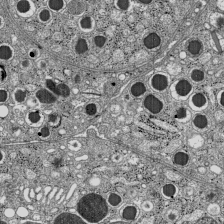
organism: C57BL Mouse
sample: Pancreatic islet